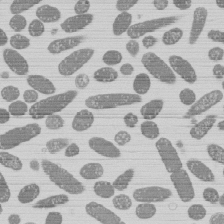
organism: E. coli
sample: Bacterial nucleoid